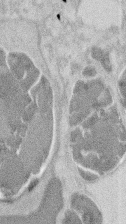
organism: Mouse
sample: T cell stromal cell synapse